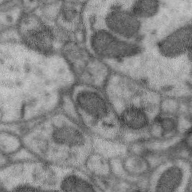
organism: Zebra finch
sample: Brain